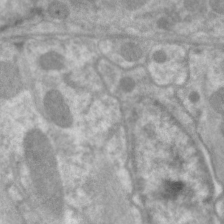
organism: C. elegans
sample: Pharynx